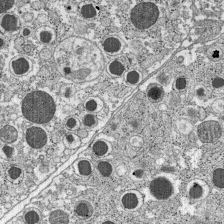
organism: C57BL Mouse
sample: Pancreatic islet